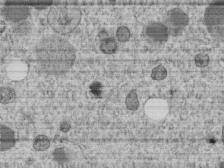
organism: C. elegans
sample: C. elegans embryo early stage